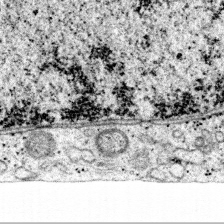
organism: Human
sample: HeLa cells